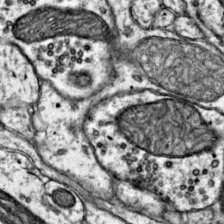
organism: Mouse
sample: Primary visual cortex